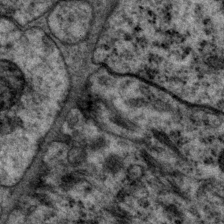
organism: P. pacificus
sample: Pharynx